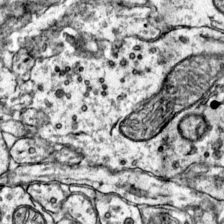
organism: Mouse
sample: Primary visual cortex